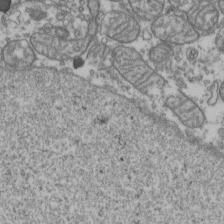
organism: Human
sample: Activated Jurkat CD4+ T cells